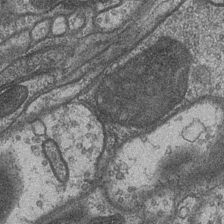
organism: Drosophila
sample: Optic medulla